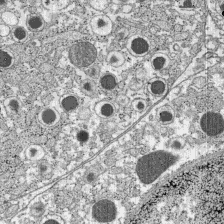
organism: C57BL Mouse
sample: Pancreatic islet